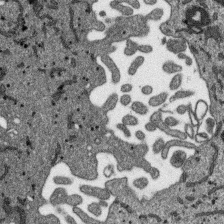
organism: Human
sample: Lung epithelial cells infected with SARS-CoV-2